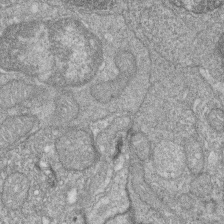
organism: Zebrafish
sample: Cilia; retinal pigment epithelium